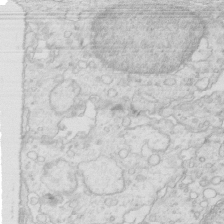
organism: Mouse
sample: Multiciliated cells